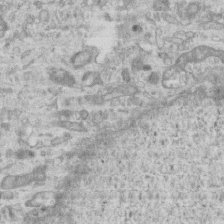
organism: Mouse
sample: Centriole in ependymal cells